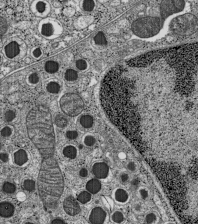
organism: C57BL Mouse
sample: Pancreatic islet